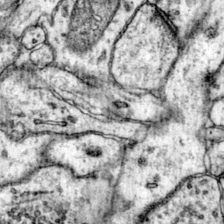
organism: Mouse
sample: Primary visual cortex